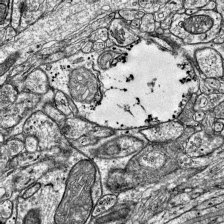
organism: Mouse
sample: Visual Cortex